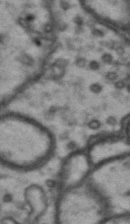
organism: Drosophila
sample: Brain